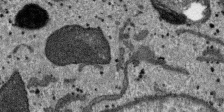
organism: Human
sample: Lung epithelial cells, uninfected (mock) control